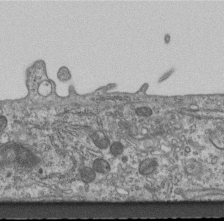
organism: Mouse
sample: Centriole in ependymal cells